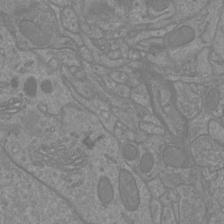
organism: Mouse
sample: Cortical neurons